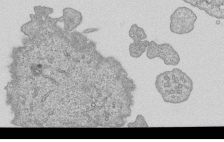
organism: Human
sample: MDA-MB-231 cells